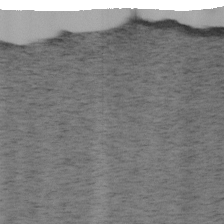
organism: Mouse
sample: OT-I killer T cells with ID8 ovarian cancer cells